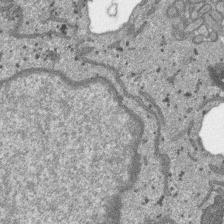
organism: Human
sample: Lung epithelial cells infected with SARS-CoV-2